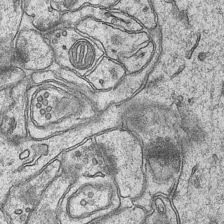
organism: Mouse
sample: CA1 Hippocampus